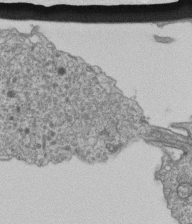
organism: Human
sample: Retinal organoid Rod and Cone cells